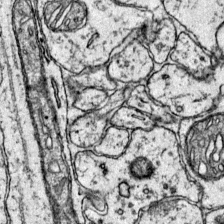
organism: Mouse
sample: Primary visual cortex